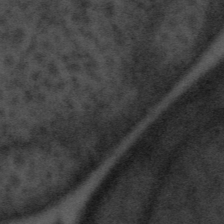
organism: Tuwongella immobilis